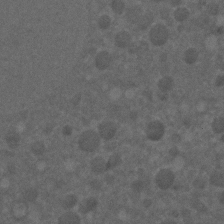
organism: C. elegans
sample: C. elegans embryo